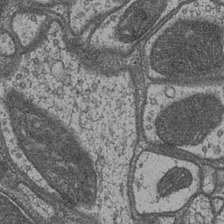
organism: Drosophila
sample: Optic medulla